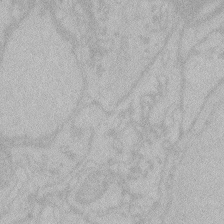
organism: Zebrafish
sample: Macrophage infected with Toxoplasma gondii